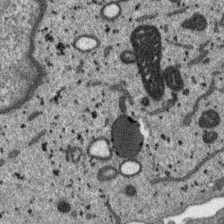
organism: Human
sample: Lung epithelial cells infected with SARS-CoV-2